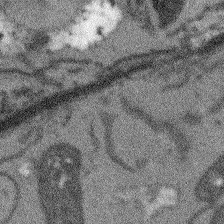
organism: Arabidopsis thaliana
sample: Root tip